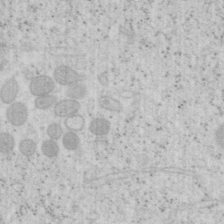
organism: Human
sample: HeLa cells